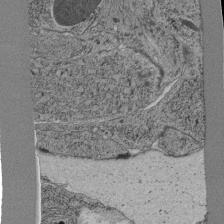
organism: C. elegans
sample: C. elegans pharynx